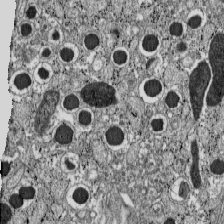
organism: C57BL Mouse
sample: Pancreatic islet